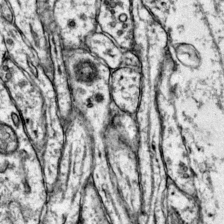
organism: Mouse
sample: Primary visual cortex